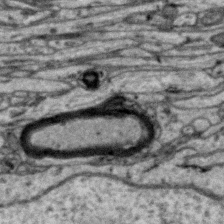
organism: Zebra finch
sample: Brain